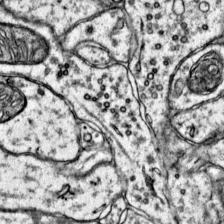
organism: Mouse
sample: Primary visual cortex